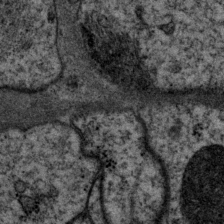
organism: P. pacificus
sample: Pharynx